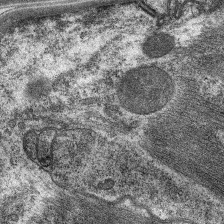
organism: C. elegans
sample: Pharynx